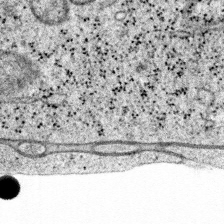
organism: Human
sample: HeLa cells